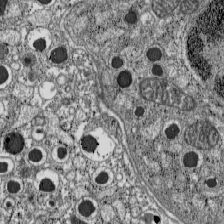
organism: C57BL Mouse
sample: Pancreatic islet